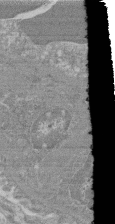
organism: Mouse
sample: Glomerulus